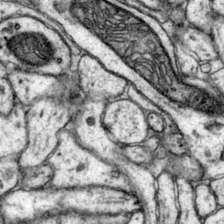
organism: Mouse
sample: Primary visual cortex